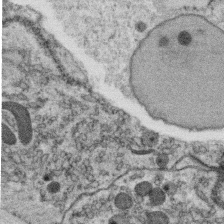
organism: C. elegans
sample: C. elegans oocyte; sperm cells